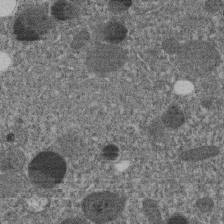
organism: C. elegans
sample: C. elegans embryo early stage